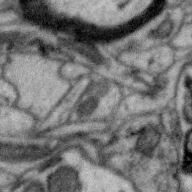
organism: Zebra finch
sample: Brain